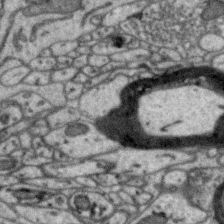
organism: Zebra finch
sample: Brain